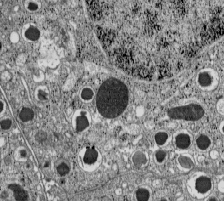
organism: C57BL Mouse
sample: Pancreatic islet